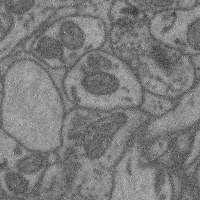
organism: Mouse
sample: Cerebral cortex